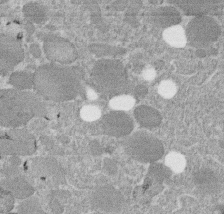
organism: C. elegans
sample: C. elegans embryo early stage